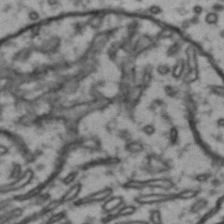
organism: Drosophila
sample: Brain